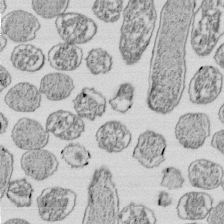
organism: E. coli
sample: Bacterial nucleoid